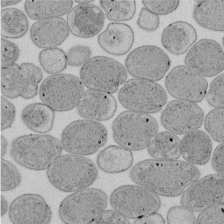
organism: E. coli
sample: Bacterial nucleoid